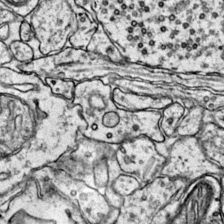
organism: Mouse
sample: Primary visual cortex